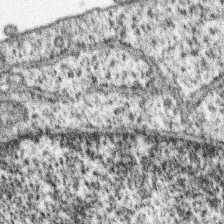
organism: Human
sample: HeLa cells